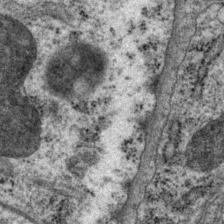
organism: P. pacificus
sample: Pharynx